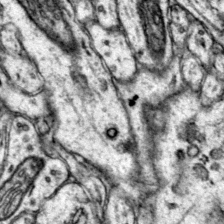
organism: Mouse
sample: Primary visual cortex